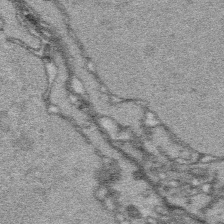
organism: Platynereis dumerilii